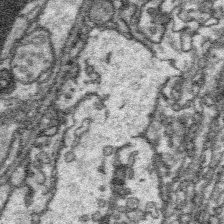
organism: Platynereis dumerilii